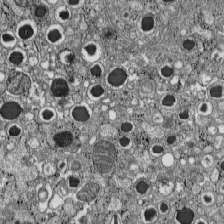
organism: C57BL Mouse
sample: Pancreatic islet